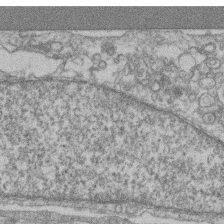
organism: Mouse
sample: T cell stromal cell synapse